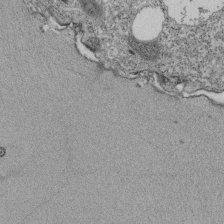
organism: Tetrahymena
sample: Cilia in tetrahymena